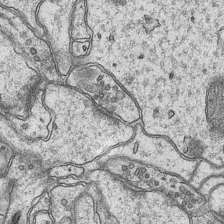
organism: Mouse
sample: CA1 Hippocampus